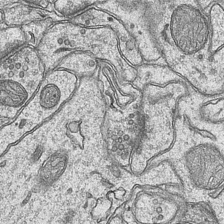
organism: Mouse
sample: CA1 Hippocampus